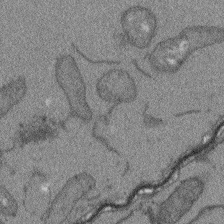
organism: Arabidopsis thaliana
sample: Root tip